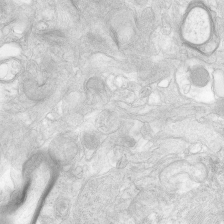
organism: Human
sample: Neocortex